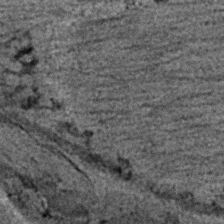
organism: C. elegans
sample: C. elegans embryo